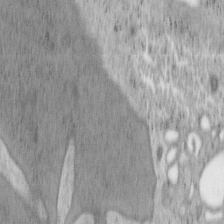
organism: Human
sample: HeLa cells